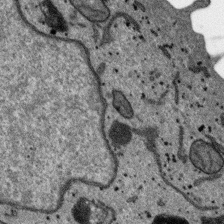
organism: Human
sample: Lung epithelial cells, uninfected (mock) control